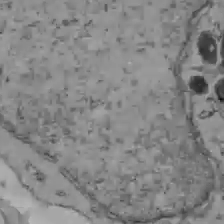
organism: C57BL Mouse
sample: Liver